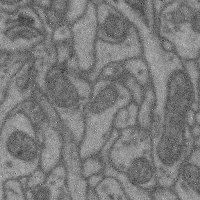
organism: Mouse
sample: Cerebral cortex